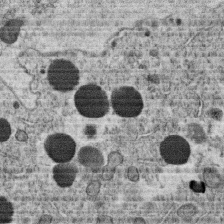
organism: C. elegans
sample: C. elegans oocyte; sperm cells